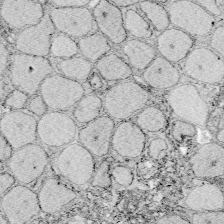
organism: Zebrafish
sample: Whole-Brain